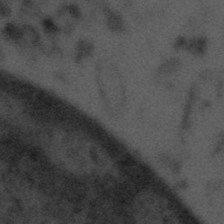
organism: Tuwongella immobilis